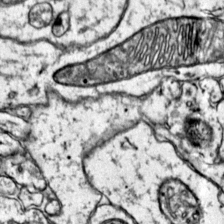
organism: Mouse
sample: Primary visual cortex